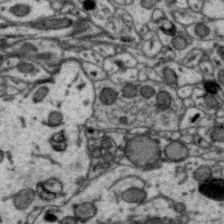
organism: Zebra finch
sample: Brain